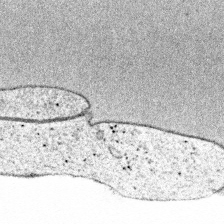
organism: Human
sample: HeLa cells